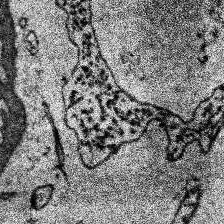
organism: Human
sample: Temporal Lobe